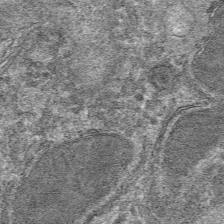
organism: Mouse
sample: Mouse hepatocytes